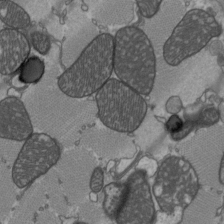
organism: C57BL Mouse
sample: Heart